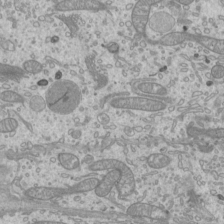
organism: Mouse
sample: Cilia; mouse epididymis